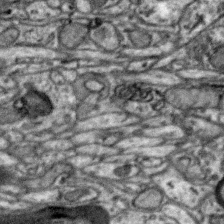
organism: Zebra finch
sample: Brain